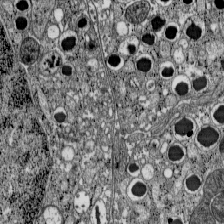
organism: C57BL Mouse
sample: Pancreatic islet